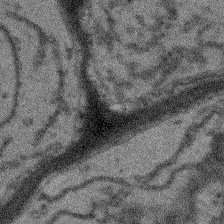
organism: Arabidopsis thaliana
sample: Root tip